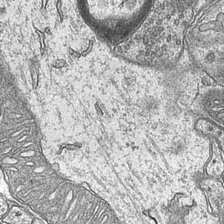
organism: Mouse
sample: CA1 Hippocampus